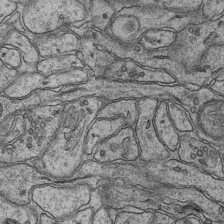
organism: Mouse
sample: CA1 Hippocampus